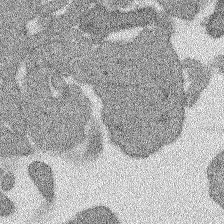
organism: Human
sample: HeLa cells